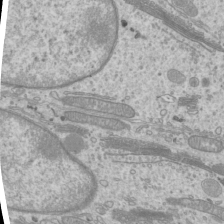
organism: Mouse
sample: Cilia; mouse epididymis